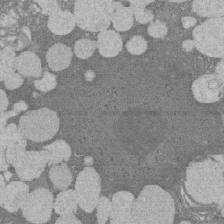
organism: Rat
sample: Salivary granule